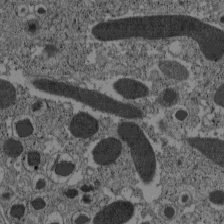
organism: C57BL Mouse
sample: Pancreatic islet